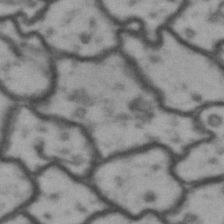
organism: Drosophila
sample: Brain